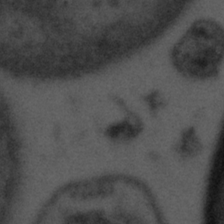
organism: Tuwongella immobilis